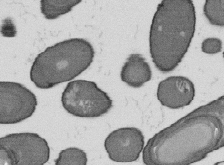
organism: B. subtilis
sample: Bacterial spore